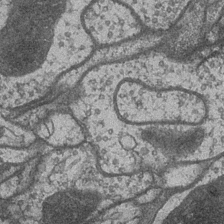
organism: Drosophila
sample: Optic medulla